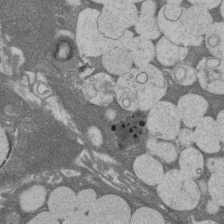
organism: Rat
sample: Salivary granule